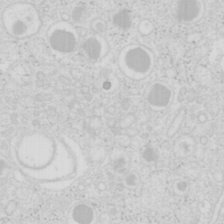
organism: Mouse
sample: Pancreas